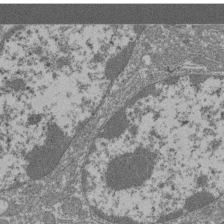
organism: Mouse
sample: Glomerulus